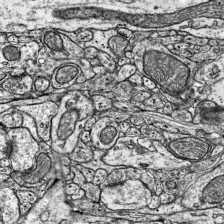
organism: Mouse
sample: Visual Cortex